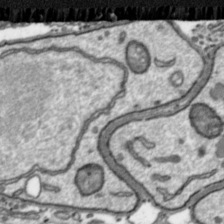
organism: Toxoplasma gondii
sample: Parasites in a vacuole inside a host cell